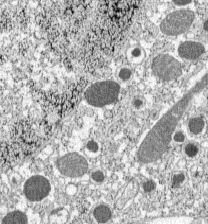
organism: C57BL Mouse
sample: Pancreatic islet